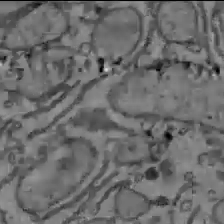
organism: C57BL Mouse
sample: Liver